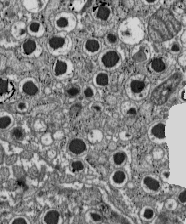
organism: C57BL Mouse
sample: Pancreatic islet